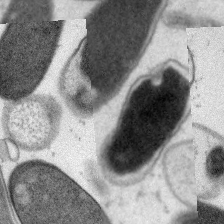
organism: C. elegans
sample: Pharynx